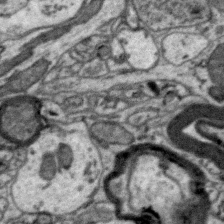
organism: Zebra finch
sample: Brain